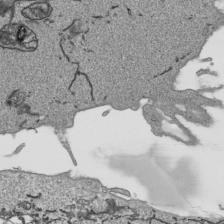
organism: Human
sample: Mitochondria in HCT116 cells